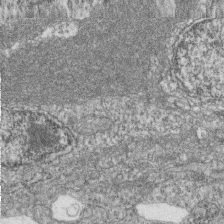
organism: Zebrafish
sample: Cilia; retinal pigment epithelium